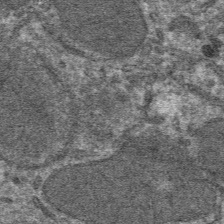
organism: Mouse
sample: Mouse hepatocytes